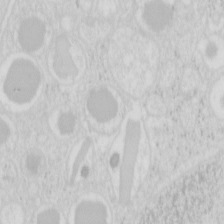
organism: Mouse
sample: Pancreas